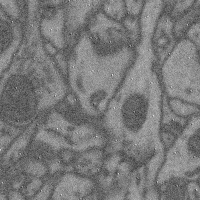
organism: Mouse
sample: Cerebral cortex